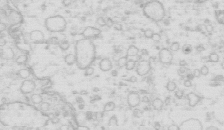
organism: Mouse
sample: Multiciliated cells